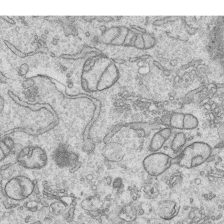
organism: Human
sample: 1205lu cells